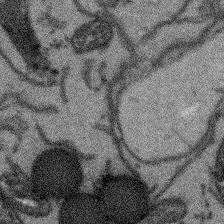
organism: Arabidopsis thaliana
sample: Root tip